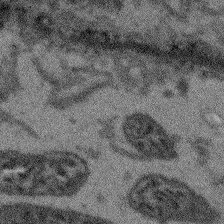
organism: Arabidopsis thaliana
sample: Root tip